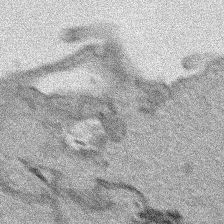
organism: Human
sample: Mitochondria in HCT116 cells